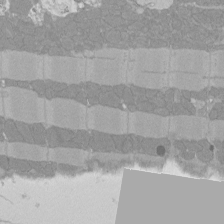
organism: Rat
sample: Left ventricle